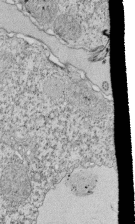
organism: Tetrahymena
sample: Cilia in tetrahymena